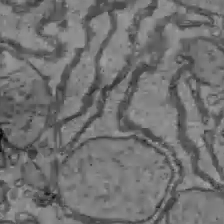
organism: C57BL Mouse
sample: Liver